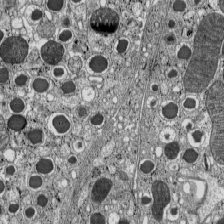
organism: C57BL Mouse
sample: Pancreatic islet